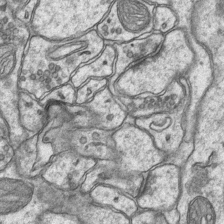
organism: Mouse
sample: CA1 Hippocampus